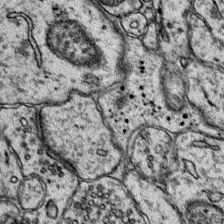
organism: Mouse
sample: Primary visual cortex